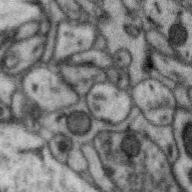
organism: Zebra finch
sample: Brain